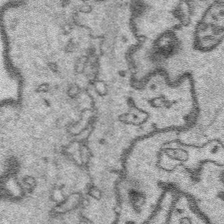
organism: Platynereis dumerilii